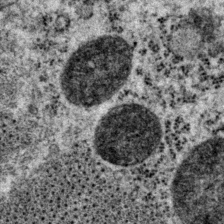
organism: P. pacificus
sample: Pharynx